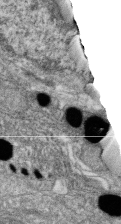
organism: Zebrafish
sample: Cilia; retinal pigment epithelium